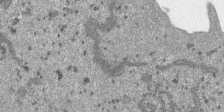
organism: Human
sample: Lung epithelial cells infected with SARS-CoV-2